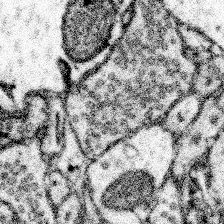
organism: Mouse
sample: Somatosensory cortex neuropil